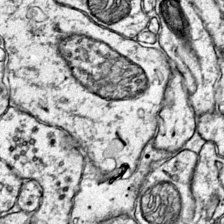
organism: Mouse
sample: Primary visual cortex